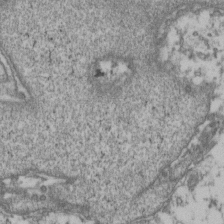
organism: Human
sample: Activated Jurkat CD4+ T cells